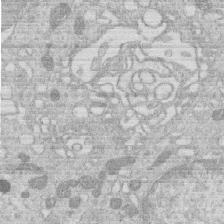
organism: Human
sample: Macrophage cells